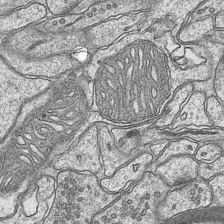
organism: Mouse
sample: CA1 Hippocampus